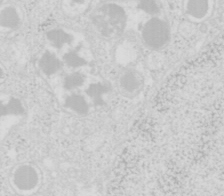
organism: Mouse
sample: Pancreas